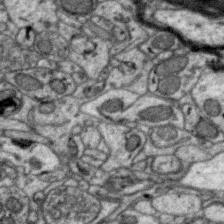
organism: Zebra finch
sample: Brain